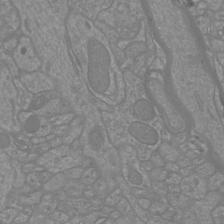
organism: Mouse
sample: Cortical neurons